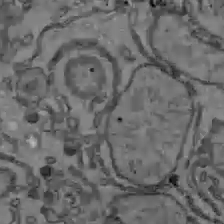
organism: C57BL Mouse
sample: Liver